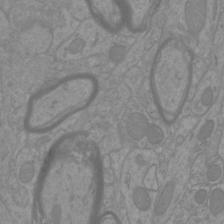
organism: Mouse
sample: Cortical neurons